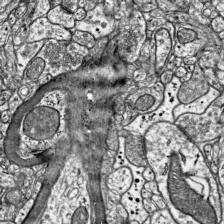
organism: Mouse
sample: Visual Cortex